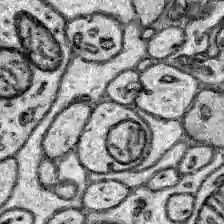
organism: Zebrafish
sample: Brain